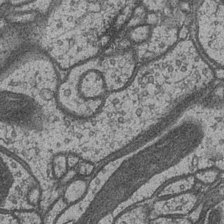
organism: Drosophila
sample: Optic medulla